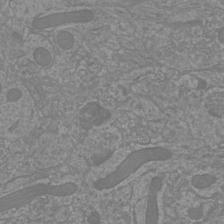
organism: Mouse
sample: Cortical neurons